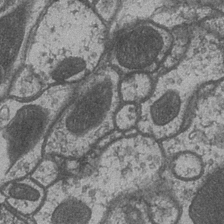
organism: Drosophila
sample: Optic medulla